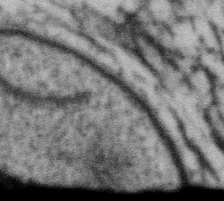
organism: Gemmata obscuriglobus